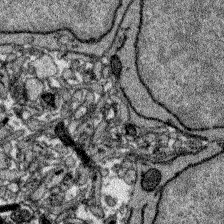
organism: Zebrafish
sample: Larval olfactory bulb